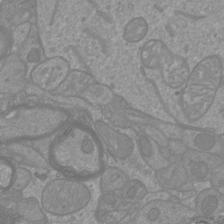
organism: Mouse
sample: Cortical neurons